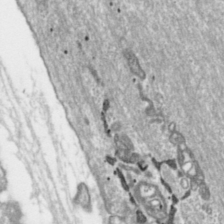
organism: Toxoplasma gondii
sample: Parasites in a vacuole inside a host cell